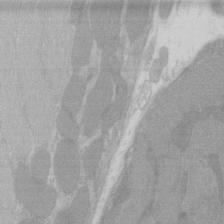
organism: C57BL Mouse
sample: Tibialis anterior muscle cell